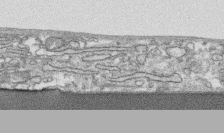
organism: Human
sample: CRL-1474